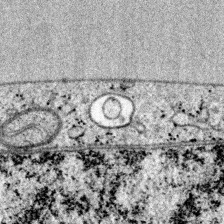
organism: Human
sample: HeLa cells